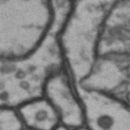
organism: Drosophila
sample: Brain